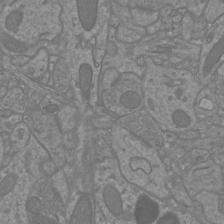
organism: Mouse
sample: Cortical neurons